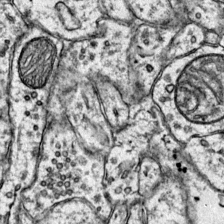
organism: Mouse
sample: Primary visual cortex